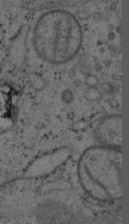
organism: Human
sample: HeLa cells